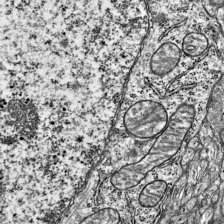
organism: Mouse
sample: Visual Cortex